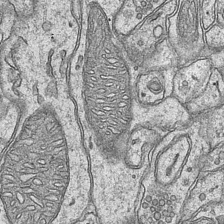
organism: Mouse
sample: CA1 Hippocampus